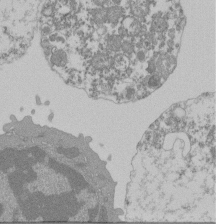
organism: Mouse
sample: Activated Pmel transgenic CD8+ T Cells